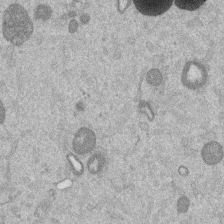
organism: Mouse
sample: Dividing mouse embryo 1 cell stage